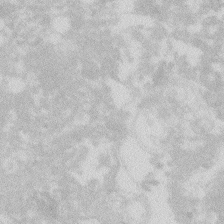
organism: Zebrafish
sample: Macrophage